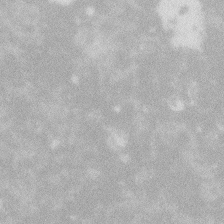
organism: Zebrafish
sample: Macrophage